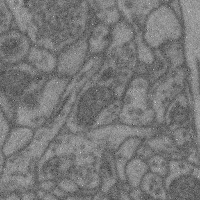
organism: Mouse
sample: Cerebral cortex